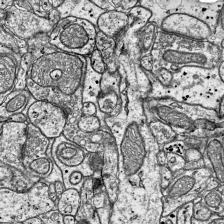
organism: Mouse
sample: Visual Cortex